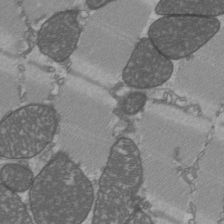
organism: C57BL Mouse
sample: Heart